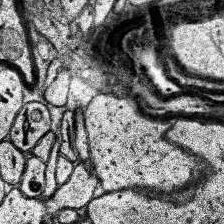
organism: Human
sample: Temporal Lobe